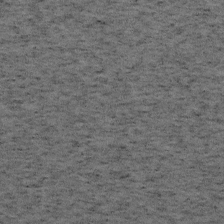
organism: Mouse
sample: OT-I killer T cells with ID8 ovarian cancer cells